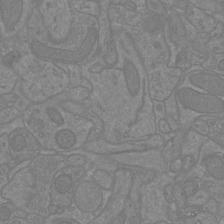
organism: Mouse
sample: Cortical neurons